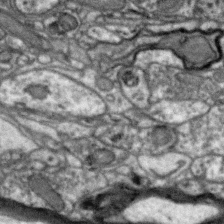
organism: Zebra finch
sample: Brain